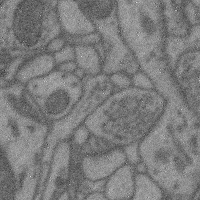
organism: Mouse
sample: Cerebral cortex